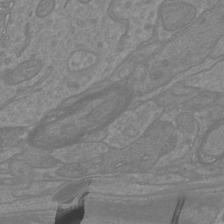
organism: Mouse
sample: Cortical neurons